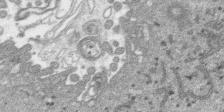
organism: Human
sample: Lung epithelial cells infected with SARS-CoV-2